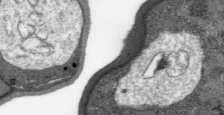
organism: Plasmodium falciparum